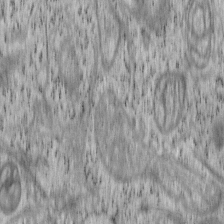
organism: Human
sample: HeLa cells